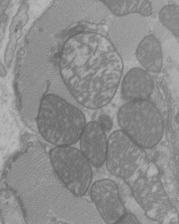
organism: C57BL Mouse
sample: Heart